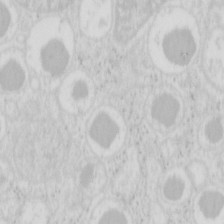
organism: Mouse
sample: Pancreas